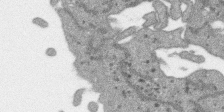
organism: Human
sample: Lung epithelial cells infected with SARS-CoV-2